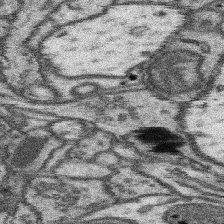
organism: Mouse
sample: Somatosensory cortex neuropil